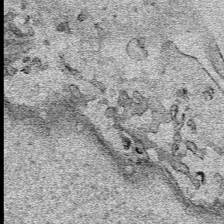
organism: Human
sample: Mitochondria in HCT116 cells